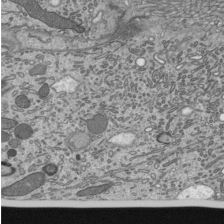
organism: Mouse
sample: Mouse epididymis efferent ductule cilia